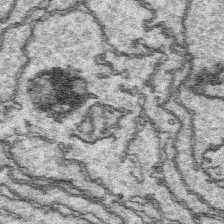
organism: Platynereis dumerilii